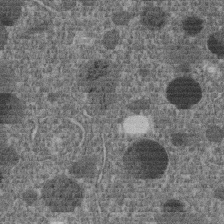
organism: C. elegans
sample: C. elegans embryo early stage